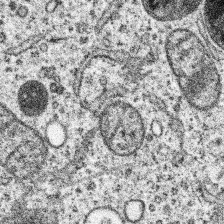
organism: Human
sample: HeLa cells